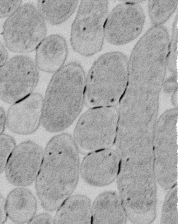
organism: E. coli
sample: Bacterial nucleoid